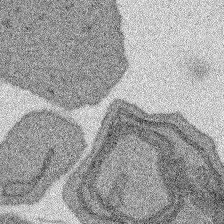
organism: Human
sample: HeLa cells